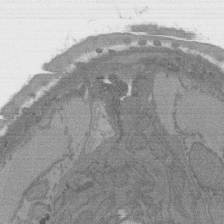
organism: C. elegans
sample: AFD neurons C. elegans